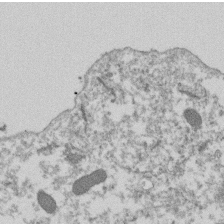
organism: Dictyostelium discoideum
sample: Dictyostelium multivesicular bodies